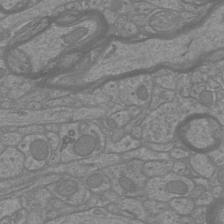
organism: Mouse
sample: Cortical neurons